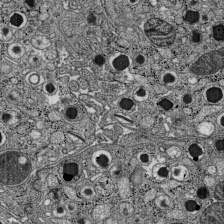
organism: C57BL Mouse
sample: Pancreatic islet